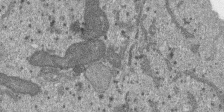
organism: Human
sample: Lung epithelial cells infected with SARS-CoV-2